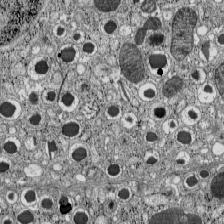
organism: C57BL Mouse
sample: Pancreatic islet